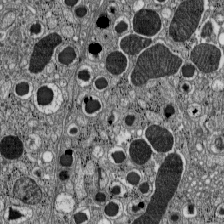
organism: C57BL Mouse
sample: Pancreatic islet